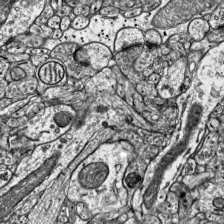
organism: Mouse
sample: Visual Cortex